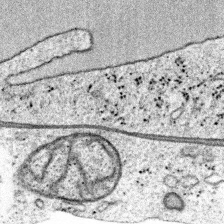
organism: Human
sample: HeLa cells